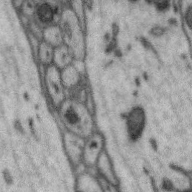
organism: Zebra finch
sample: Brain